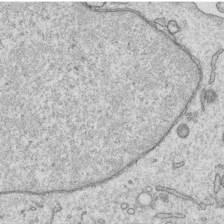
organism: Human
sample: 1205lu cells